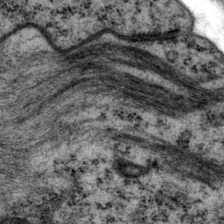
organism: P. pacificus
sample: Pharynx